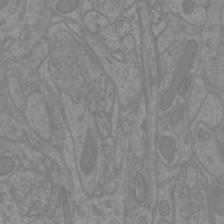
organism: Mouse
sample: Cortical neurons